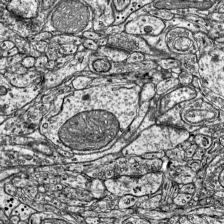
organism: Mouse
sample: Visual Cortex